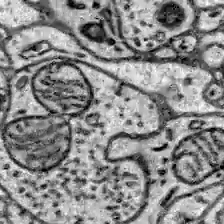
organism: Zebrafish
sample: Brain